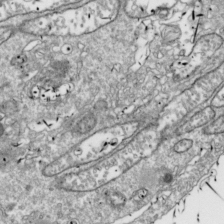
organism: Drosophila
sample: Cell division; meiosis; drosophila spermatocytes